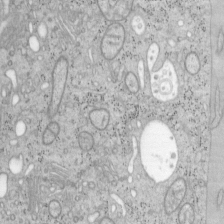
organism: Mouse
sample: OT-I killer T cells with ID8 ovarian cancer cells